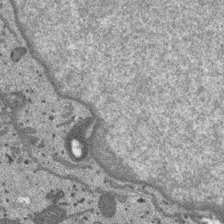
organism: Human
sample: Lung epithelial cells infected with SARS-CoV-2